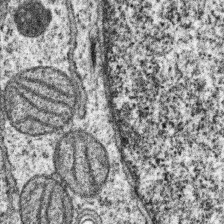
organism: Human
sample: HeLa cells